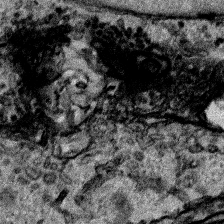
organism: Human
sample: Mitochondria in HCT116 cells